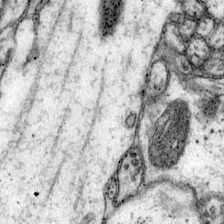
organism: Mouse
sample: Primary visual cortex